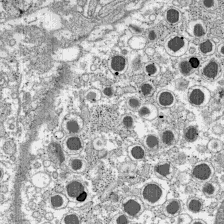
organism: C57BL Mouse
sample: Pancreatic islet